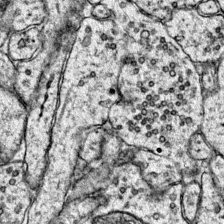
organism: Mouse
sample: Primary visual cortex